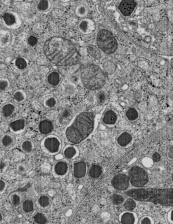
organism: C57BL Mouse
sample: Pancreatic islet